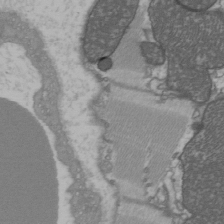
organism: C57BL Mouse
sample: Heart